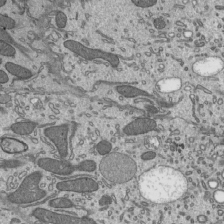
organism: Mouse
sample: Mouse epididymis efferent ductule cilia